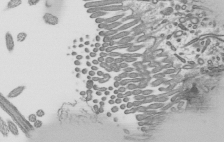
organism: Mouse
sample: Mouse epididymis efferent ductule cilia